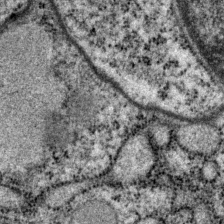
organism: P. pacificus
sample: Pharynx